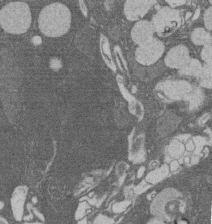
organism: Rat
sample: Salivary granule